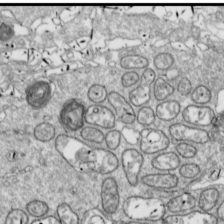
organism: Drosophila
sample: Cell division; meiosis; drosophila spermatocytes